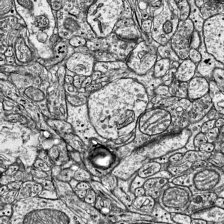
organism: Mouse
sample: Visual Cortex